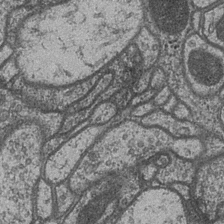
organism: Drosophila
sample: Optic medulla